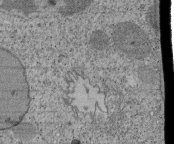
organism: Tetrahymena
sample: Cilia in tetrahymena